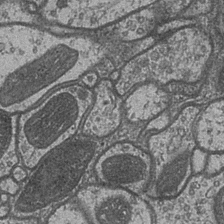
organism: Drosophila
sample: Optic medulla